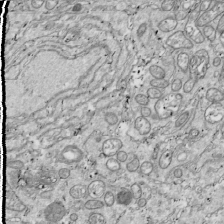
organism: Drosophila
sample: Cell division; meiosis; drosophila spermatocytes